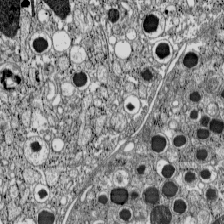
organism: C57BL Mouse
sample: Pancreatic islet